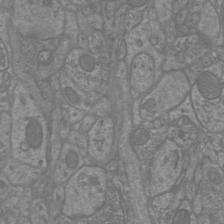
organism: Mouse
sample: Cortical neurons